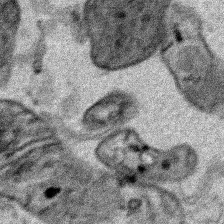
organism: Human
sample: Mitochondria in HCT116 cells